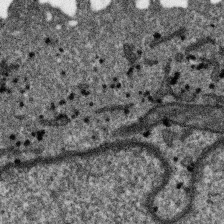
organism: Human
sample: Lung epithelial cells infected with SARS-CoV-2